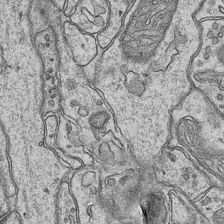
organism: Mouse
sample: CA1 Hippocampus